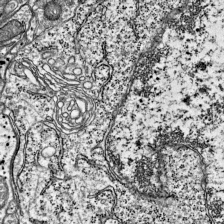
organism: Mouse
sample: Visual Cortex